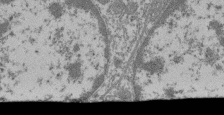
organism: Mouse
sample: Glomerulus